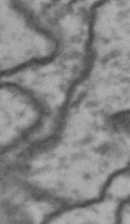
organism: Drosophila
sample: Brain